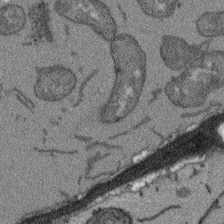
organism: Arabidopsis thaliana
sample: Root tip